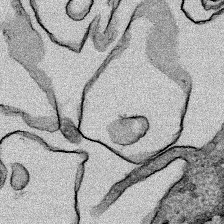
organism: Human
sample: Mitochondria in HCT116 cells